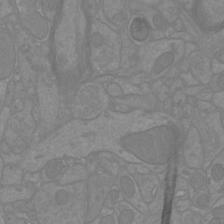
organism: Mouse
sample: Cortical neurons